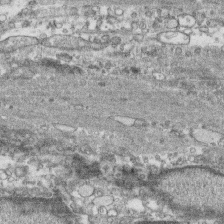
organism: Human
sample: CRL-1474